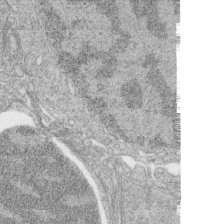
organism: Zebrafish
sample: synaptic ribbons in rod cells and cone cells